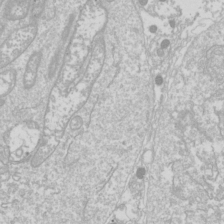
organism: Drosophila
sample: Cell division; meiosis; drosophila spermatocytes